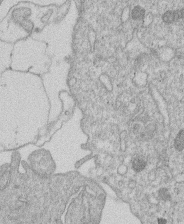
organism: Human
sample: Macrophage cells